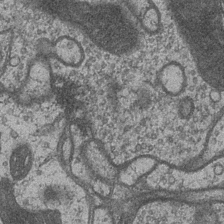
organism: Drosophila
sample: Optic medulla